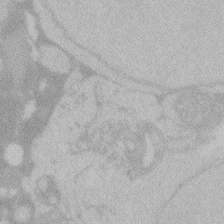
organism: Zebrafish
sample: Macrophage infected with Toxoplasma gondii